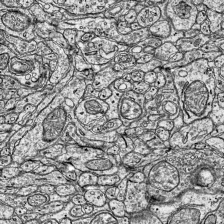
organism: Mouse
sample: Visual Cortex